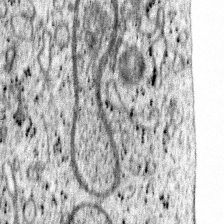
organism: Human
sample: HeLa cells